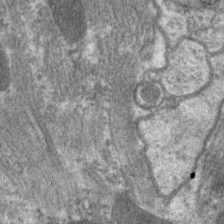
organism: C. elegans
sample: Pharynx